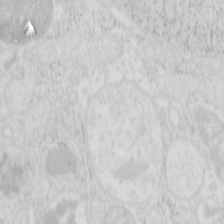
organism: Mouse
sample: Pancreas